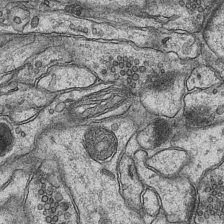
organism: Mouse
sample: CA1 Hippocampus